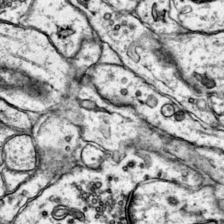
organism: Mouse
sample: Primary visual cortex